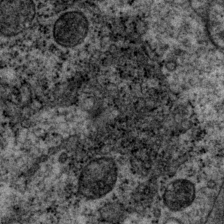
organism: P. pacificus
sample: Pharynx